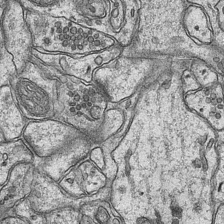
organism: Mouse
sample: CA1 Hippocampus